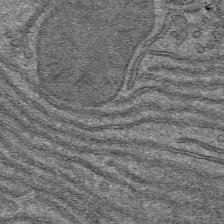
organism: Mouse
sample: Mouse hepatocytes